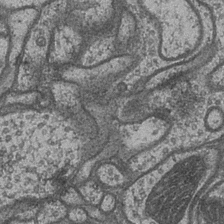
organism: Drosophila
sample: Optic medulla